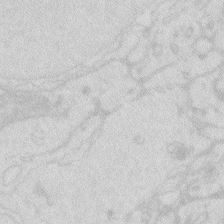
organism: Zebrafish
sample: Macrophage